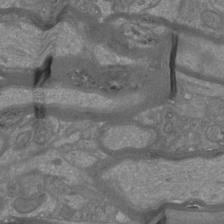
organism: Mouse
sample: Cortical neurons